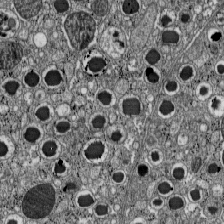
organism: C57BL Mouse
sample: Pancreatic islet